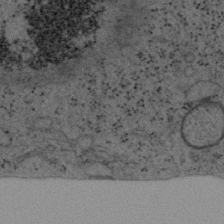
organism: Human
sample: HeLa cells